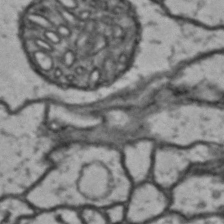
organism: Drosophila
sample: Brain